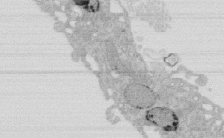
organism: Rat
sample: Salivary granule